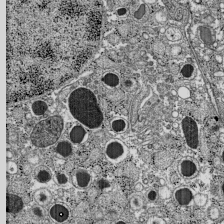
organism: C57BL Mouse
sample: Pancreatic islet